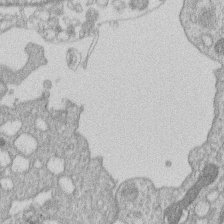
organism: Human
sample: Macrophage cells